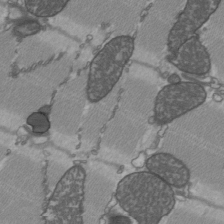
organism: C57BL Mouse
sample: Heart